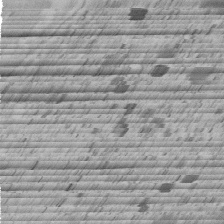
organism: C. elegans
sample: C. elegans embryo early stage